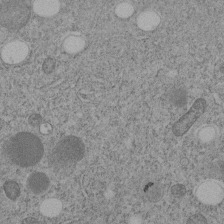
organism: C. elegans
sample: C. elegans embryo early stage